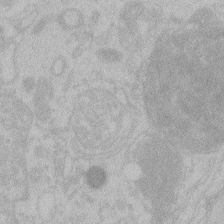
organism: Zebrafish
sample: Macrophage infected with Toxoplasma gondii